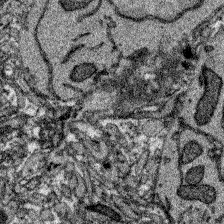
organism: Zebrafish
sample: Larval olfactory bulb